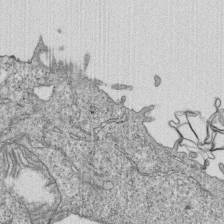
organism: Human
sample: HeLa cell HIV synapse